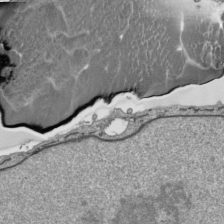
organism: Human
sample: Mitochondria in HCT116 cells